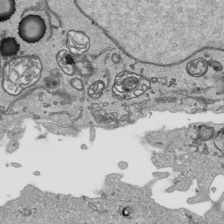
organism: Human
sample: Mitochondria in HCT116 cells